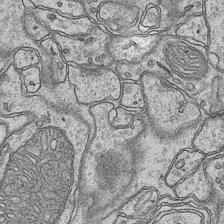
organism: Mouse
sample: CA1 Hippocampus